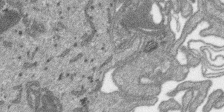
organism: Human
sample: Lung epithelial cells infected with SARS-CoV-2